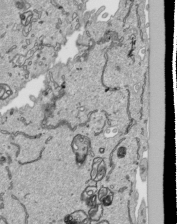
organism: Human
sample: Mitochondria in HCT116 cells